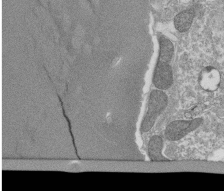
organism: Tetrahymena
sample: Cilia in tetrahymena